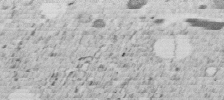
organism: C. elegans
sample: C. elegans embryo early stage